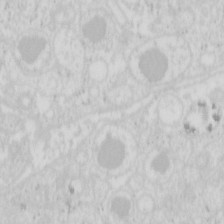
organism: Mouse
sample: Pancreas